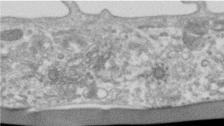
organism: Human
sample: Centriole in RPE cells